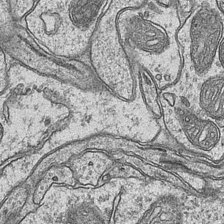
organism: Mouse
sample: CA1 Hippocampus